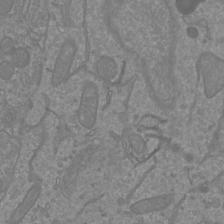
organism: Mouse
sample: Cortical neurons